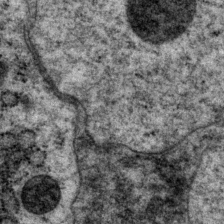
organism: P. pacificus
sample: Pharynx